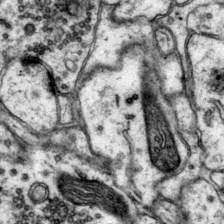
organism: Mouse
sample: Primary visual cortex